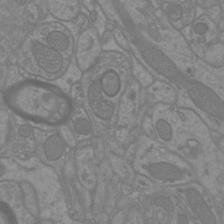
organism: Mouse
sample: Cortical neurons